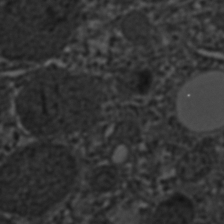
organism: C. elegans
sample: C. elegans embryo